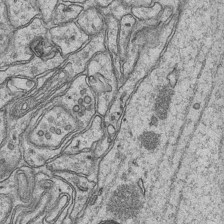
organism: Mouse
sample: CA1 Hippocampus